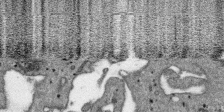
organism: Human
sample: Lung epithelial cells, uninfected (mock) control